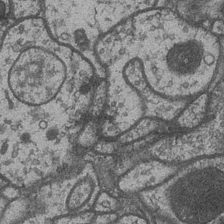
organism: Drosophila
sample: Optic medulla